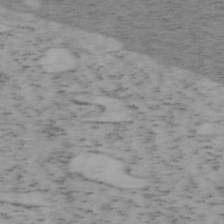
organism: Mouse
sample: OT-I killer T cells with ID8 ovarian cancer cells